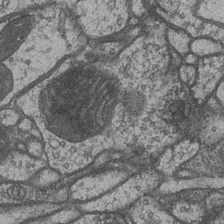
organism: Drosophila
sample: Optic medulla